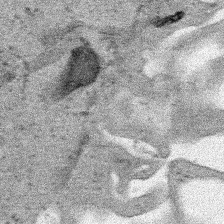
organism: Human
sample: Mitochondria in HCT116 cells